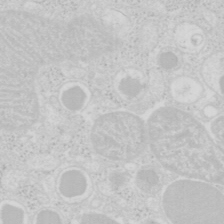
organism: Mouse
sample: Pancreas